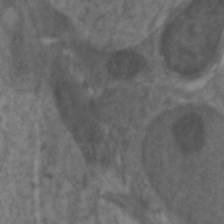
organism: Zebrafish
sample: Zebrafish embryo